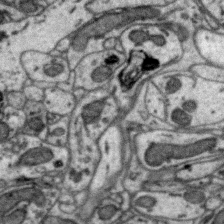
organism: Zebra finch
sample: Brain